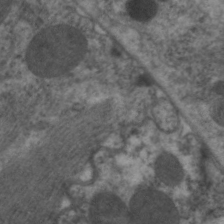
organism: C. elegans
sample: Pharynx